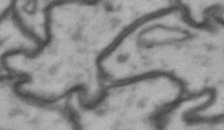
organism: Drosophila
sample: Brain